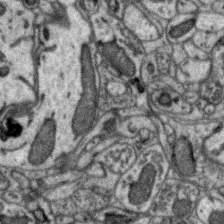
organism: Zebra finch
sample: Brain